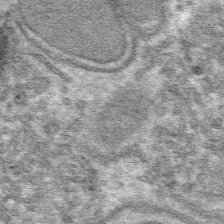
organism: Mouse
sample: Mouse hepatocytes